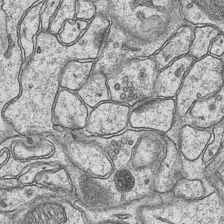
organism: Mouse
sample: CA1 Hippocampus